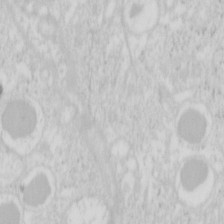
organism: Mouse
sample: Pancreas